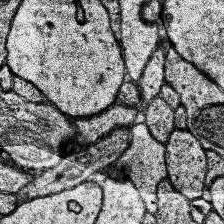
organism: Human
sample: Temporal Lobe